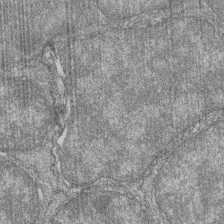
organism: Zebrafish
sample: Cilia; retinal pigment epithelium